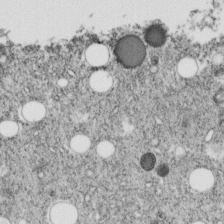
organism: C. elegans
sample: C. elegans embryo early stage